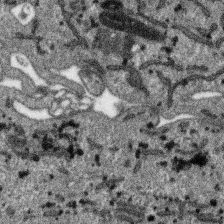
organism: Human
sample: Lung epithelial cells infected with SARS-CoV-2